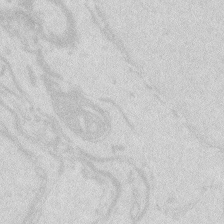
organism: Zebrafish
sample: Macrophage